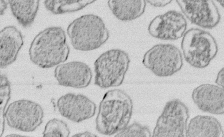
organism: E. coli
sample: Bacterial nucleoid